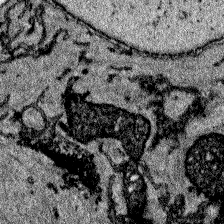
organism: Zebrafish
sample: Larval olfactory bulb